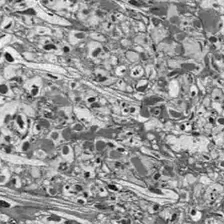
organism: Drosophila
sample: Optic lobe